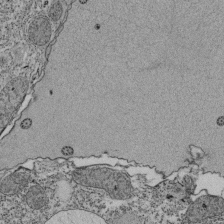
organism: Tetrahymena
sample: Cilia in tetrahymena